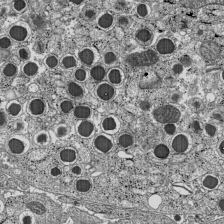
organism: C57BL Mouse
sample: Pancreatic islet